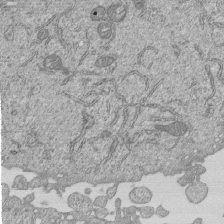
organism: Human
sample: MDA-MB-231 cells